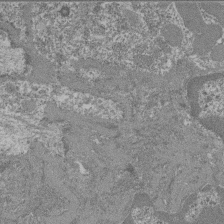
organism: Mouse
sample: Glomerulus